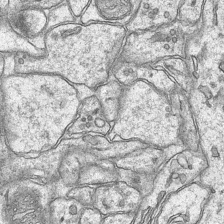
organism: Mouse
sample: CA1 Hippocampus